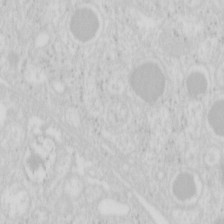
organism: Mouse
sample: Pancreas